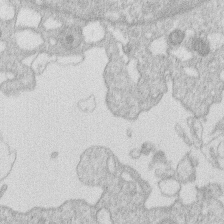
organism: Human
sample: Macrophage cells